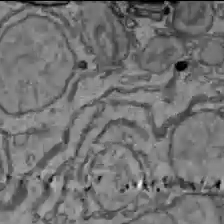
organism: C57BL Mouse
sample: Liver